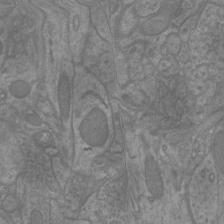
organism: Mouse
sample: Cortical neurons